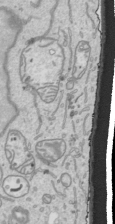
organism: Human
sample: Mitochondria in HCT116 cells